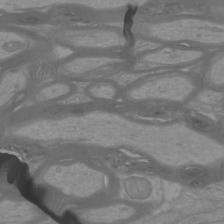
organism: Mouse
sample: Cortical neurons